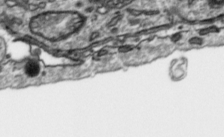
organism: Toxoplasma gondii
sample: Parasites in a vacuole inside a host cell